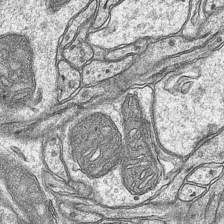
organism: Mouse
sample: CA1 Hippocampus